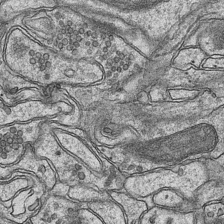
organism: Mouse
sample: CA1 Hippocampus